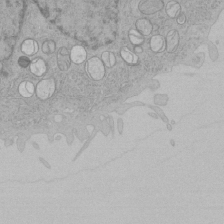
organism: Human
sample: Mitochondria in HCT116 cells